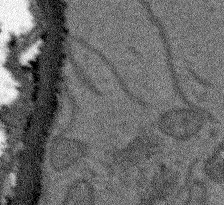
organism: Arabidopsis thaliana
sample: Root tip